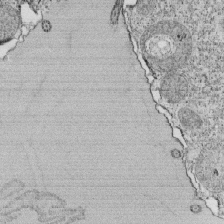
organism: Tetrahymena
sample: Cilia in tetrahymena